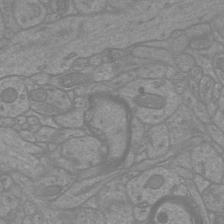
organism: Mouse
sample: Cortical neurons